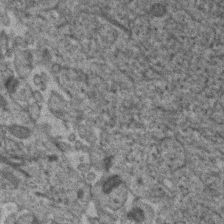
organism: Human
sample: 1205lu cells